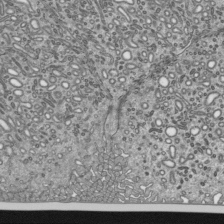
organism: Mouse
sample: Mouse epididymis efferent ductule cilia